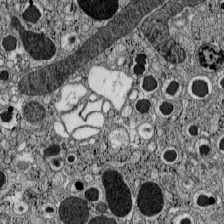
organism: C57BL Mouse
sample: Pancreatic islet